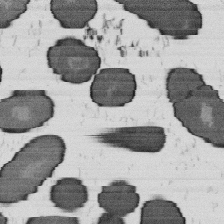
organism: B. subtilis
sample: Bacterial spore